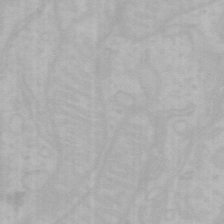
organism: Mouse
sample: Choroid plexus